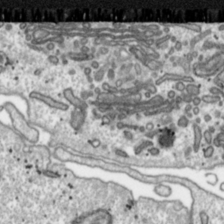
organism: Toxoplasma gondii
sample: Parasites in a vacuole inside a host cell